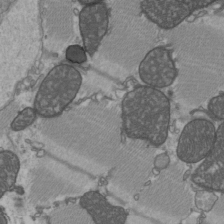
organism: C57BL Mouse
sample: Heart